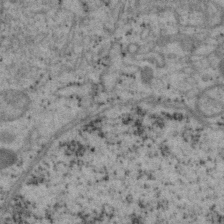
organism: Human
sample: HeLa cells